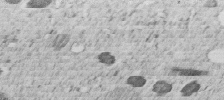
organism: C. elegans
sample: C. elegans embryo early stage